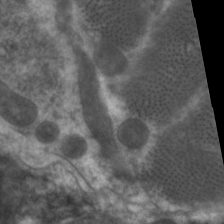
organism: C. elegans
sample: Pharynx